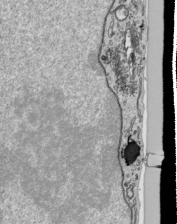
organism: Human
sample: Mitochondria in HCT116 cells